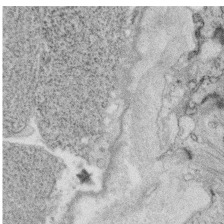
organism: C. elegans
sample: C. elegans oocyte; sperm cells